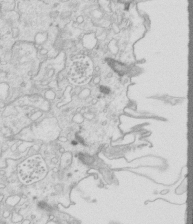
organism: Mouse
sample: Multiciliated cells